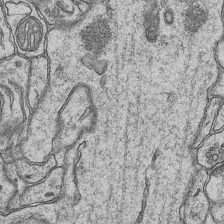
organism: Mouse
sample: CA1 Hippocampus